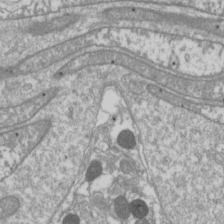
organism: Drosophila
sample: Cell division; meiosis; drosophila spermatocytes